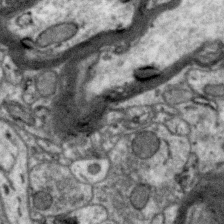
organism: Zebra finch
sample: Brain